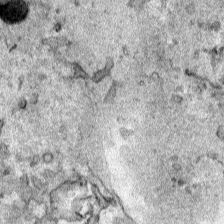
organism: Human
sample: Mitochondria in HCT116 cells